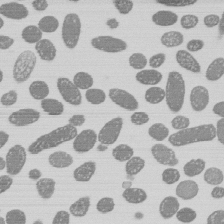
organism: E. coli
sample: Bacterial nucleoid